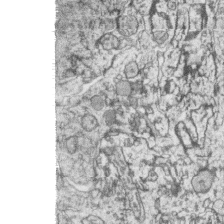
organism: Zebrafish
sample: synaptic ribbons in rod cells and cone cells